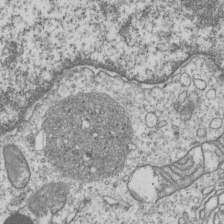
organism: Human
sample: MDA-MB-231 cells